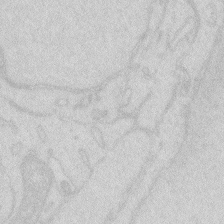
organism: Zebrafish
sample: Macrophage